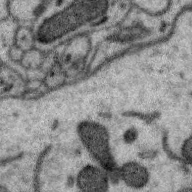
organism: Zebra finch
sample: Brain